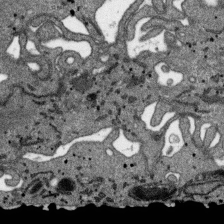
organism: Human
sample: Lung epithelial cells, uninfected (mock) control